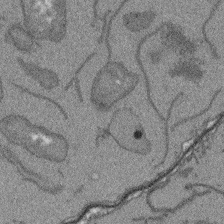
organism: Arabidopsis thaliana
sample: Root tip